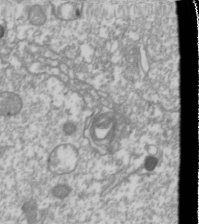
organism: Drosophila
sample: Cell division; meiosis; drosophila spermatocytes